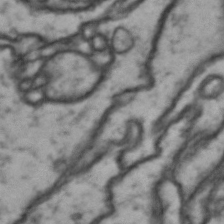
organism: Drosophila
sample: Brain